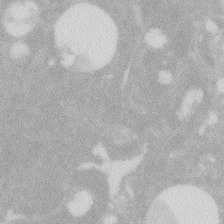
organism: Zebrafish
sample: Macrophage